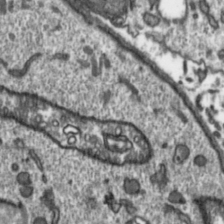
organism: Toxoplasma gondii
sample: Parasites in a vacuole inside a host cell